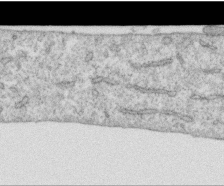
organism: Human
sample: Centriole in RPE cells